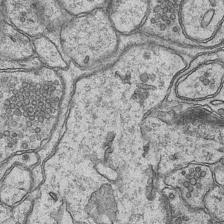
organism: Mouse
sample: CA1 Hippocampus